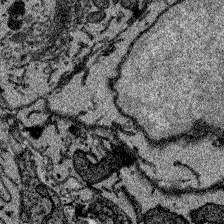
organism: Zebrafish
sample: Larval olfactory bulb